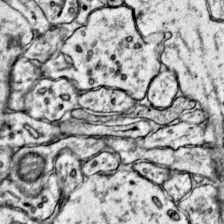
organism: Mouse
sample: Primary visual cortex